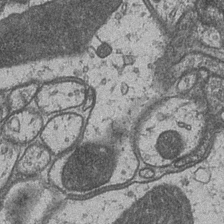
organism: Drosophila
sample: Optic medulla